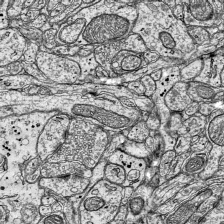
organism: Mouse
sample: Visual Cortex